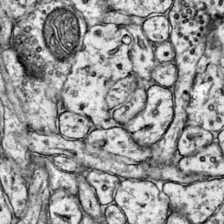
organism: Mouse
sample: Primary visual cortex